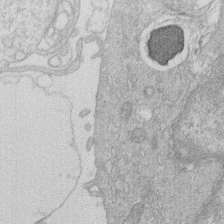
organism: Human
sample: Macrophage cells